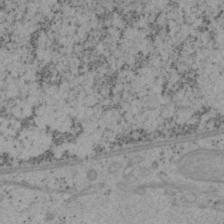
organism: Human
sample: HeLa cells